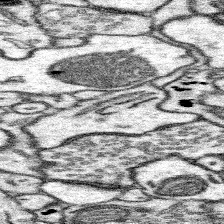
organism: Mouse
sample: Somatosensory cortex neuropil